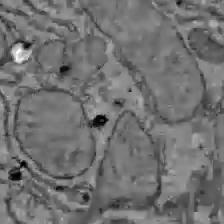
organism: C57BL Mouse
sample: Liver